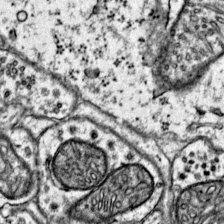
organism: Mouse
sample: Primary visual cortex